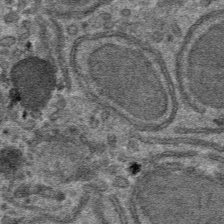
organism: Mouse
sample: Mouse hepatocytes